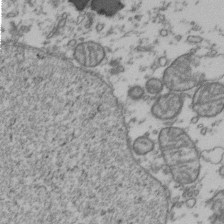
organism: Human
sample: Activated Jurkat CD4+ T cells